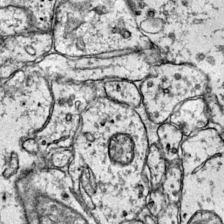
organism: Mouse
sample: Primary visual cortex